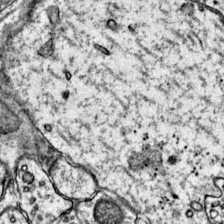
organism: Mouse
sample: Primary visual cortex